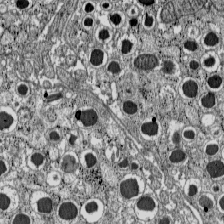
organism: C57BL Mouse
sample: Pancreatic islet